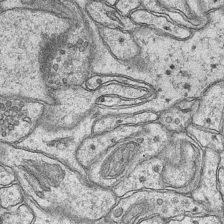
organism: Mouse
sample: CA1 Hippocampus